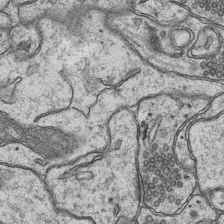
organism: Mouse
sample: CA1 Hippocampus